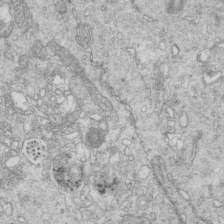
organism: Mouse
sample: Multiciliated cells